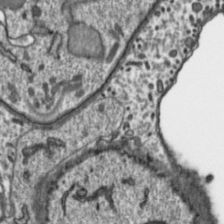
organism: Toxoplasma gondii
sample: Parasites in a vacuole inside a host cell